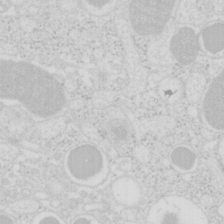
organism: Mouse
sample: Pancreas